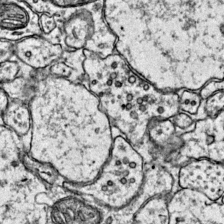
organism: Mouse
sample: Primary visual cortex